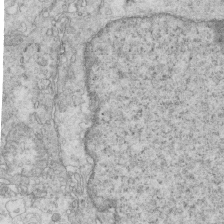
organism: Mouse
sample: Multiciliated cells